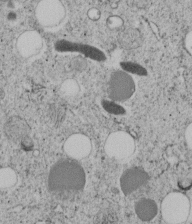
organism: C. elegans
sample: C. elegans embryo early stage